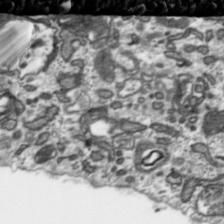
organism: Toxoplasma gondii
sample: Parasites in a vacuole inside a host cell